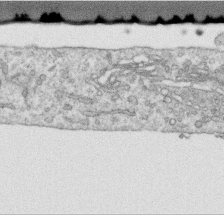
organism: Human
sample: Centriole in RPE cells